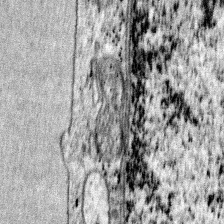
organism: Human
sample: HeLa cells